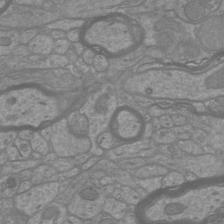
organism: Mouse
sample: Cortical neurons